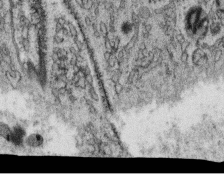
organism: C. elegans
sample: C. elegans oocyte; sperm cells